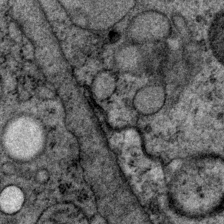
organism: P. pacificus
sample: Pharynx